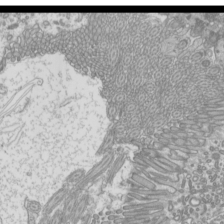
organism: Mouse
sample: Cilia; mouse epididymis